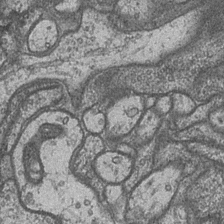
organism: Drosophila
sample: Optic medulla